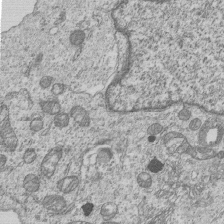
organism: Human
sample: MDA-MB-231 cells